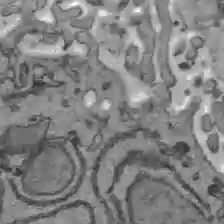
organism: C57BL Mouse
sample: Liver